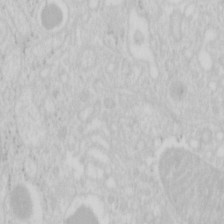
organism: Mouse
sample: Pancreas